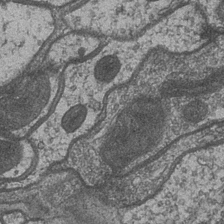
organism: Drosophila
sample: Optic medulla